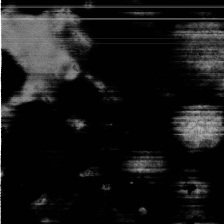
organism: C. elegans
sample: C. elegans embryo early stage